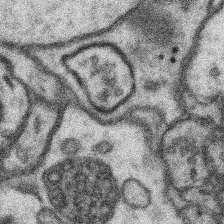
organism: Mouse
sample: Somatosensory cortex neuropil